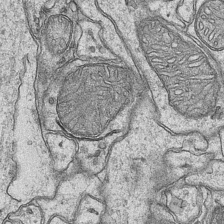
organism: Mouse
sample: CA1 Hippocampus